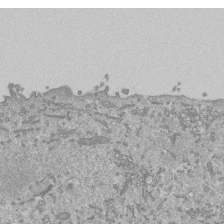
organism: Mouse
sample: ED-1 cell nuclei; centrioles